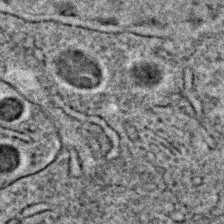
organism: C. elegans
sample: C. elegans embryo